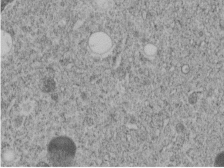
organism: C. elegans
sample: C. elegans embryo early stage